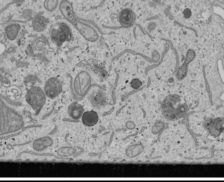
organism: Human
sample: Mitochondria in U2OS cells